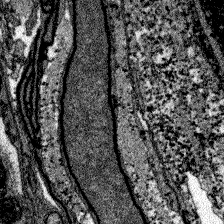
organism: Zebrafish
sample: Larval olfactory bulb